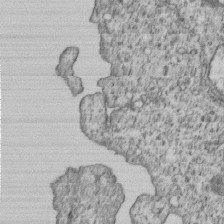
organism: Human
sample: MDA-MB-231 cells